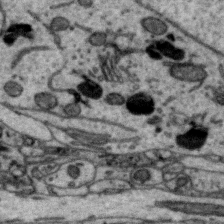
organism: Zebra finch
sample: Brain